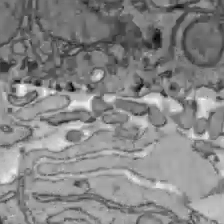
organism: C57BL Mouse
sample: Liver